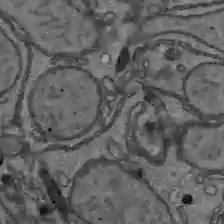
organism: C57BL Mouse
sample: Liver